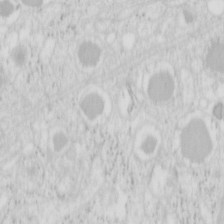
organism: Mouse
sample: Pancreas